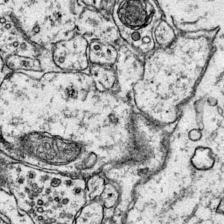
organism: Mouse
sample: Primary visual cortex